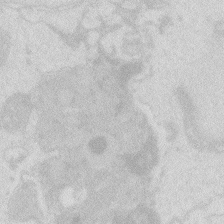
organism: Zebrafish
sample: Macrophage